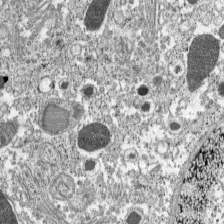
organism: C57BL Mouse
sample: Pancreatic islet